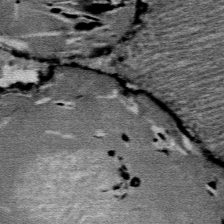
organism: Mouse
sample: Mouse Salivary gland